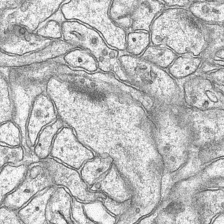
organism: Mouse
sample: CA1 Hippocampus